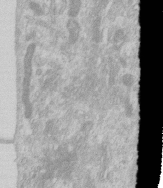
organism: Human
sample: Centriole in RPE cells